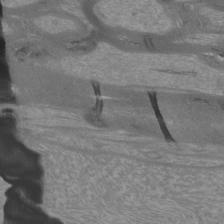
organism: Mouse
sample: Cortical neurons